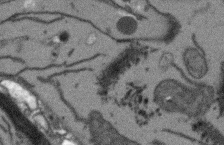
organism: Arabidopsis thaliana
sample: Root tip